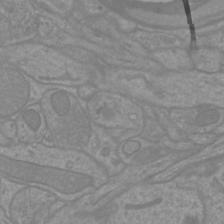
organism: Mouse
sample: Cortical neurons